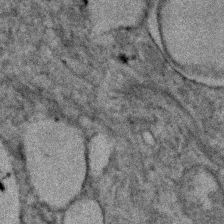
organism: Human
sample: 1205lu cells